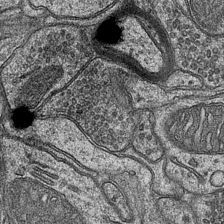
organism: Mouse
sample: CA1 Hippocampus